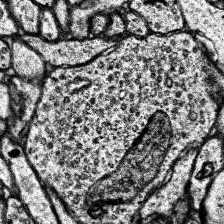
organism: Human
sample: Temporal Lobe